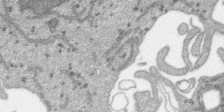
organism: Human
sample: Lung epithelial cells infected with SARS-CoV-2